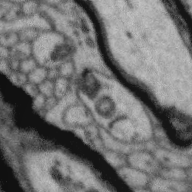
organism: Zebra finch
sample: Brain